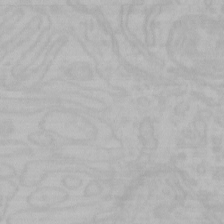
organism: Mouse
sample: Choroid plexus